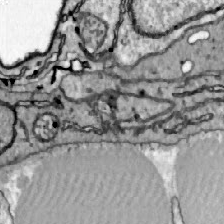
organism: Zebrafish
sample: Actinotrichia fibers